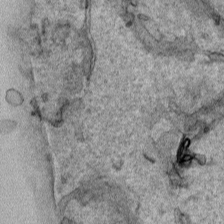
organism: Human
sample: Mitochondria in HCT116 cells